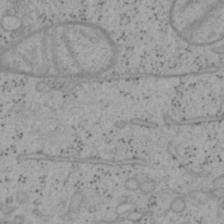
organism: Human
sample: HeLa cells